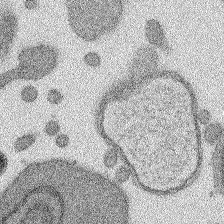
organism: Human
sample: HeLa cells